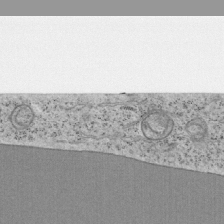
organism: Human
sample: HeLa cells